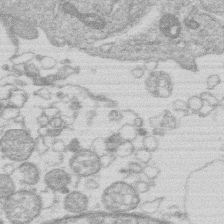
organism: Human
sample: Macrophage cells